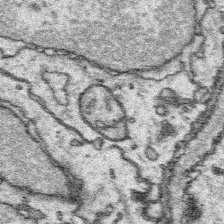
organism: Platynereis dumerilii